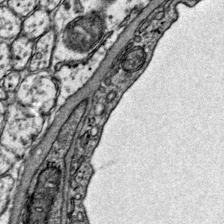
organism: Mouse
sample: Primary visual cortex